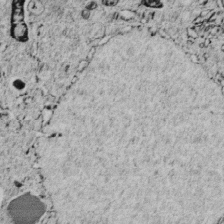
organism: C. elegans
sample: C. elegans embryo early stage